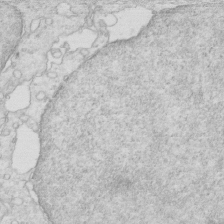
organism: Mouse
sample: Multiciliated cells